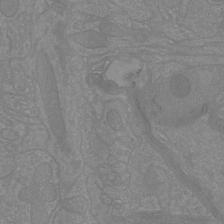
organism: Mouse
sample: Cortical neurons